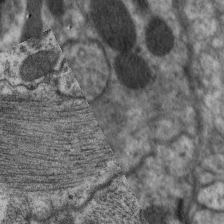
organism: C. elegans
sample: Pharynx